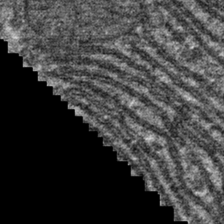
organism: Mouse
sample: Mouse hepatocytes